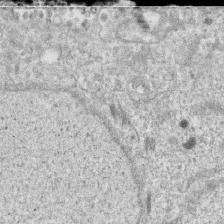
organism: Human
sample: HeLa cell HIV synapse